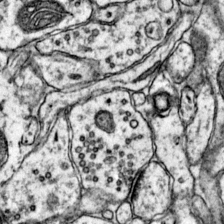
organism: Mouse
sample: Primary visual cortex